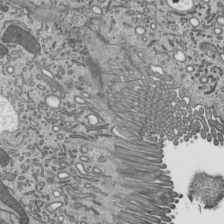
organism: Mouse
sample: Mouse epididymis efferent ductule cilia